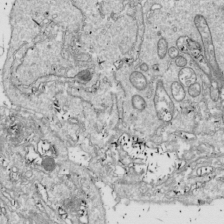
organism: Drosophila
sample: Cell division; meiosis; drosophila spermatocytes